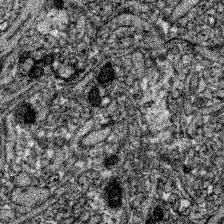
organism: Zebrafish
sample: Larval olfactory bulb